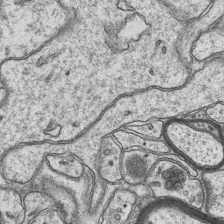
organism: Mouse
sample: CA1 Hippocampus